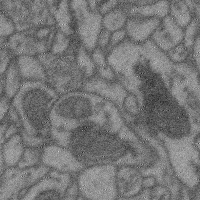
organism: Mouse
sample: Cerebral cortex